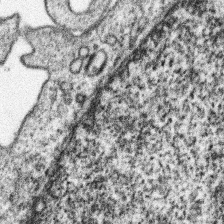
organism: Human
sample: HeLa cells